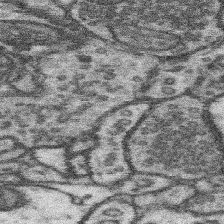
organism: Mouse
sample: Somatosensory cortex neuropil